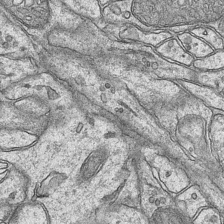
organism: Mouse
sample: CA1 Hippocampus